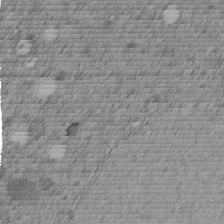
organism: C. elegans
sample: C. elegans embryo early stage